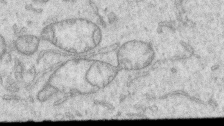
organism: Human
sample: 1205lu cells